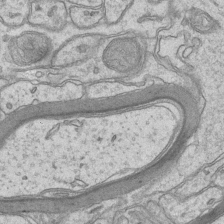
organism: Mouse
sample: CA1 Hippocampus